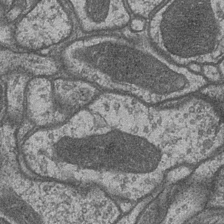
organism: Drosophila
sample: Optic medulla